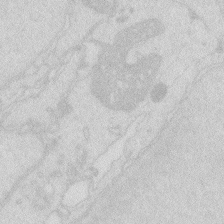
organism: Zebrafish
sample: Macrophage